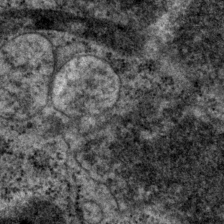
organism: P. pacificus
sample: Pharynx